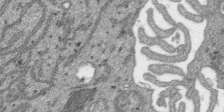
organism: Human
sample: Lung epithelial cells infected with SARS-CoV-2